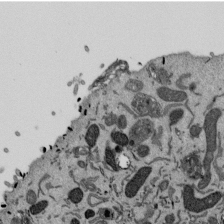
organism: Mouse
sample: ED-1 cell nuclei; centrioles